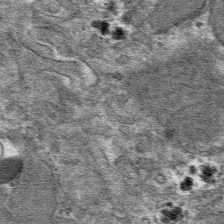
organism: Mouse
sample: Mouse hepatocytes